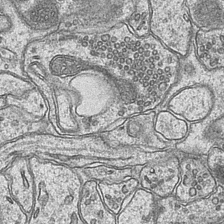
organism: Mouse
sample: CA1 Hippocampus